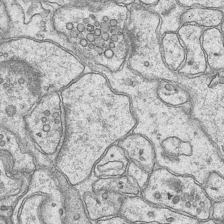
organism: Mouse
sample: CA1 Hippocampus